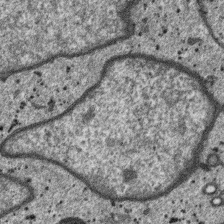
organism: Human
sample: Lung epithelial cells infected with SARS-CoV-2